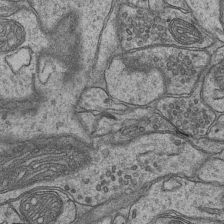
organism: Mouse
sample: CA1 Hippocampus